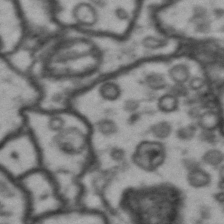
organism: Drosophila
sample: Brain